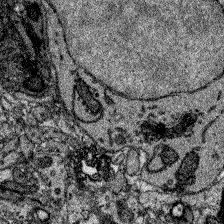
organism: Zebrafish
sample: Larval olfactory bulb